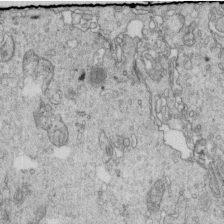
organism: Mouse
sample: Multiciliated cells